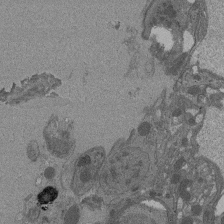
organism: Drosophila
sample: Antenna